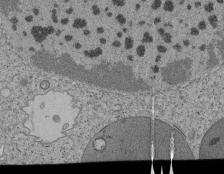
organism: Tetrahymena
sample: Cilia in tetrahymena